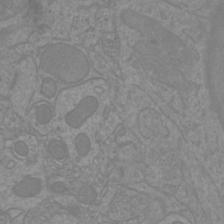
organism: Mouse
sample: Cortical neurons